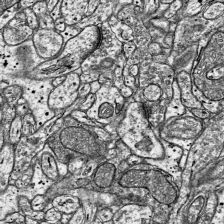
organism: Mouse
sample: Visual Cortex